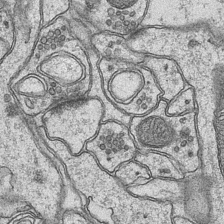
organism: Mouse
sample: CA1 Hippocampus